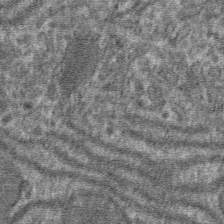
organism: Mouse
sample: Mouse hepatocytes